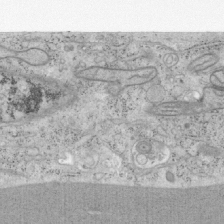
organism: Human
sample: HeLa cells